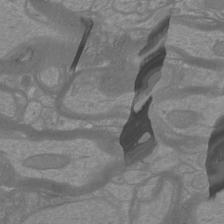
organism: Mouse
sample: Cortical neurons